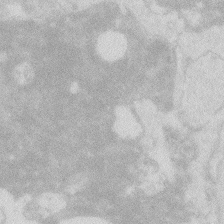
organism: Zebrafish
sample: Macrophage